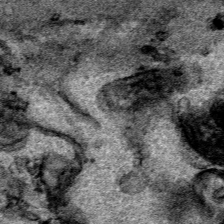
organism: Human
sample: Mitochondria in HCT116 cells